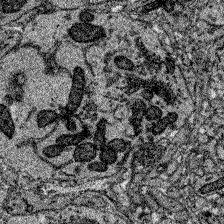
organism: Zebrafish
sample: Larval olfactory bulb